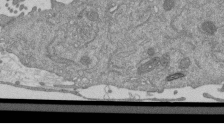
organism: Mouse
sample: ED-1 cell nuclei; centrioles